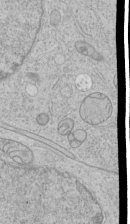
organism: Human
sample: Mitochondria in HCT116 cells